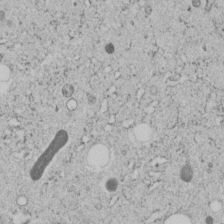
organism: C. elegans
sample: C. elegans embryo early stage